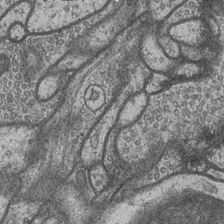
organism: Drosophila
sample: Optic medulla